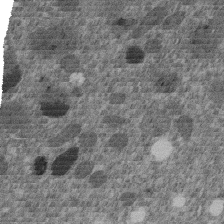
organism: C. elegans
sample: C. elegans embryo early stage